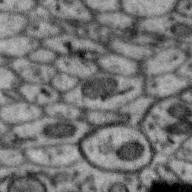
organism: Zebra finch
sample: Brain